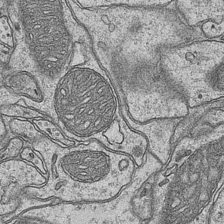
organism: Mouse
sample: CA1 Hippocampus